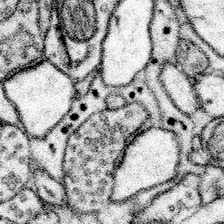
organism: Mouse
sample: Somatosensory cortex neuropil